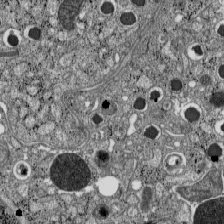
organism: C57BL Mouse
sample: Pancreatic islet